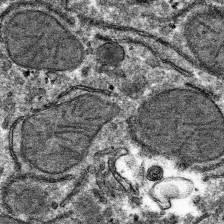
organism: Mouse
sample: Mouse hepatocytes